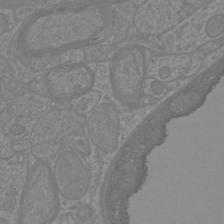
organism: Mouse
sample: Cortical neurons